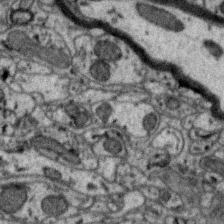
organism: Zebra finch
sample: Brain